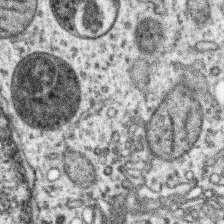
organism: Human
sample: HeLa cells